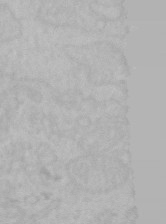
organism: Mouse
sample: Choroid plexus